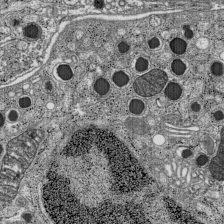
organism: C57BL Mouse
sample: Pancreatic islet